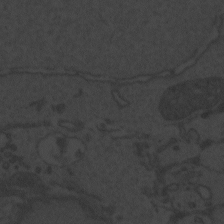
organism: Zebrafish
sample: Macrophage infected with Toxoplasma gondii